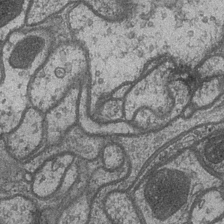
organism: Drosophila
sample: Optic medulla